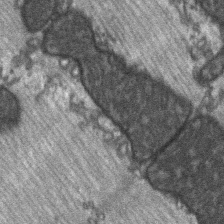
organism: C57BL Mouse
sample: Soleus